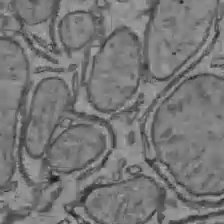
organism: C57BL Mouse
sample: Liver